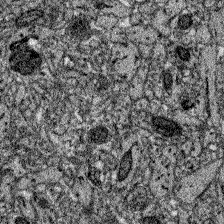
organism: Zebrafish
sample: Larval olfactory bulb